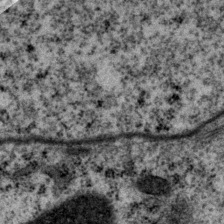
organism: P. pacificus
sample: Pharynx